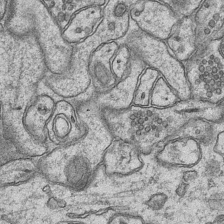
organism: Mouse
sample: CA1 Hippocampus